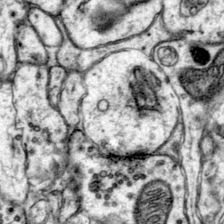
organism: Mouse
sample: Primary visual cortex